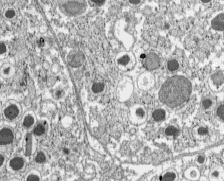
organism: C57BL Mouse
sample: Pancreatic islet